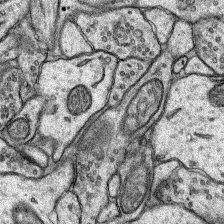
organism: Rat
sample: Hippocampus